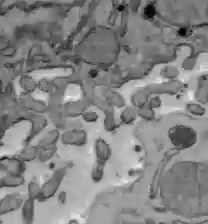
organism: C57BL Mouse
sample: Liver